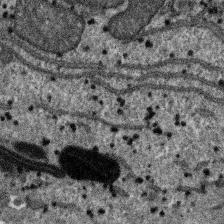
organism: Human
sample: Lung epithelial cells infected with SARS-CoV-2